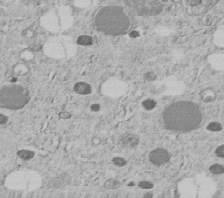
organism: C. elegans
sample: C. elegans embryo early stage